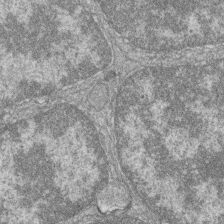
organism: Zebrafish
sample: Cilia; retinal pigment epithelium